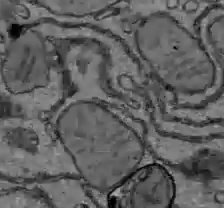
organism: C57BL Mouse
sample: Liver